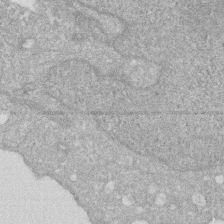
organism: Human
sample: HIV infected U937 cells